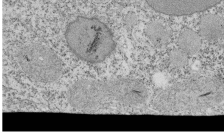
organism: Tetrahymena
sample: Cilia in tetrahymena